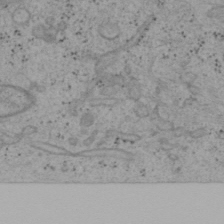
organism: Human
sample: HeLa cells